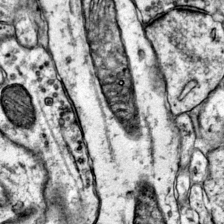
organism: Mouse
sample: Primary visual cortex